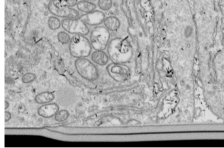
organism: Drosophila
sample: Cell division; meiosis; drosophila spermatocytes